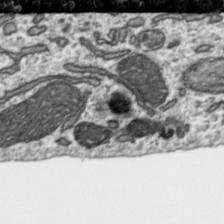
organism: Toxoplasma gondii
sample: Parasites in a vacuole inside a host cell